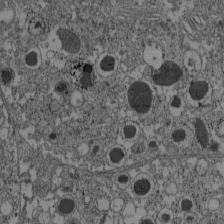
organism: C57BL Mouse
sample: Pancreatic islet